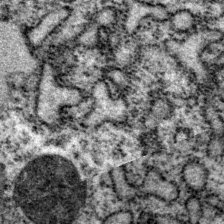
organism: P. pacificus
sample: Pharynx